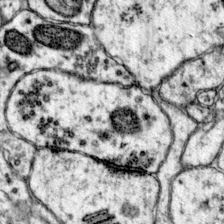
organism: Mouse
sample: Primary visual cortex